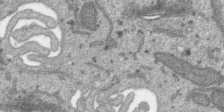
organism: Human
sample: Lung epithelial cells infected with SARS-CoV-2